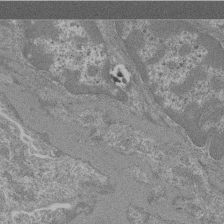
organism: Mouse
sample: Glomerulus